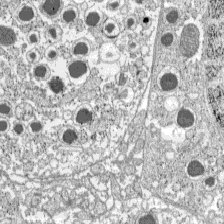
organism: C57BL Mouse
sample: Pancreatic islet